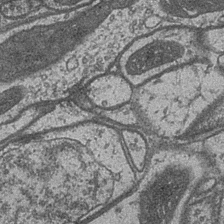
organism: Drosophila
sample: Optic medulla